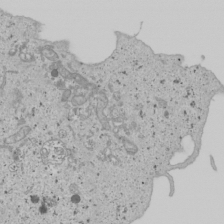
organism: Human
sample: Mitochondria in U2OS cells